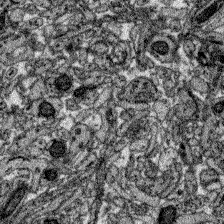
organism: Zebrafish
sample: Larval olfactory bulb